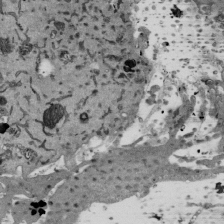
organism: Mouse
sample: ED-1 cell nuclei; centrioles